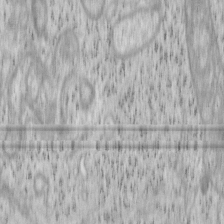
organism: Human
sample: HeLa cells